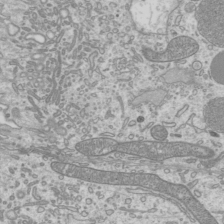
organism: Mouse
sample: Cilia; mouse epididymis